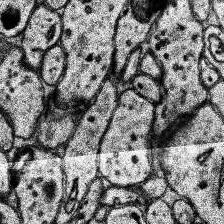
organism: Human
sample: Temporal Lobe